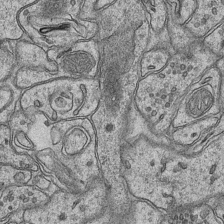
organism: Mouse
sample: CA1 Hippocampus